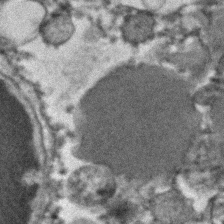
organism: Human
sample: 1205lu cells